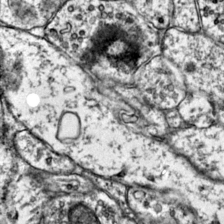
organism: Mouse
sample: Primary visual cortex